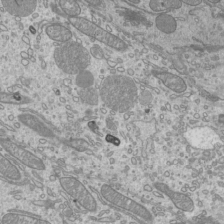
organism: Mouse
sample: Cilia; mouse epididymis